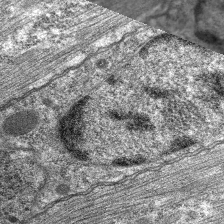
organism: C. elegans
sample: Pharynx